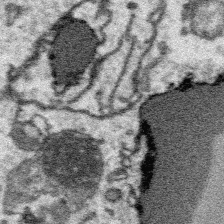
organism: Platynereis dumerilii